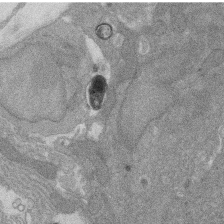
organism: Rat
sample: Salivary granule